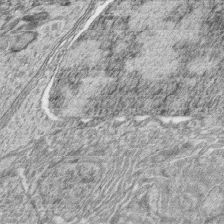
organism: Zebrafish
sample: synaptic ribbons in rod cells and cone cells